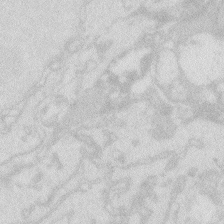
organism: Zebrafish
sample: Macrophage